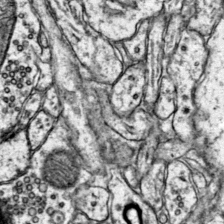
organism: Mouse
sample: Primary visual cortex